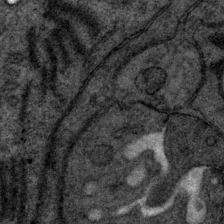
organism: P. pacificus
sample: Pharynx